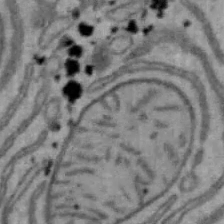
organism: Mouse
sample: Liver